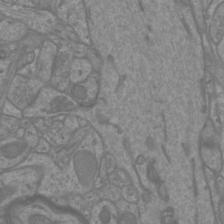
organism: Mouse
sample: Cortical neurons